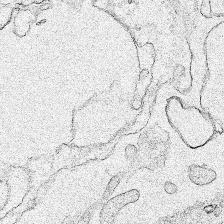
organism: Human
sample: Mitochondria in HCT116 cells